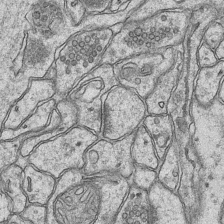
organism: Mouse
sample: CA1 Hippocampus